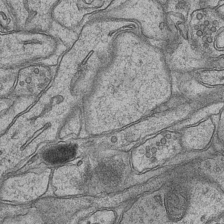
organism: Mouse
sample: CA1 Hippocampus